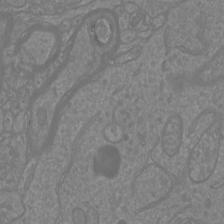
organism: Mouse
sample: Cortical neurons